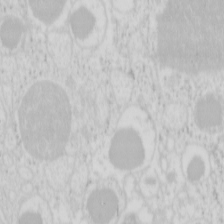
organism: Mouse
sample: Pancreas